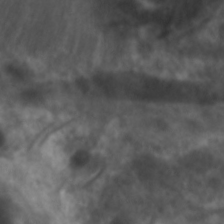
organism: C. elegans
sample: Pharynx